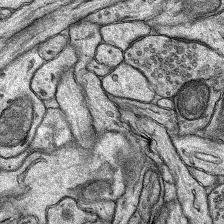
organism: Rat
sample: Hippocampus